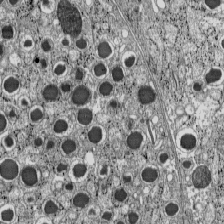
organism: C57BL Mouse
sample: Pancreatic islet